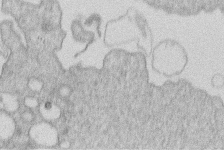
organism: Human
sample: Macrophage cells